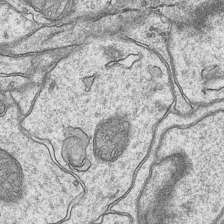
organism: Mouse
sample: CA1 Hippocampus